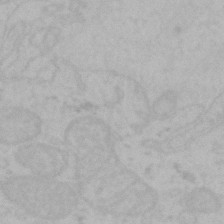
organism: Mouse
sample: Choroid plexus